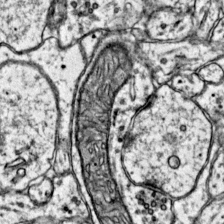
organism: Mouse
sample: Primary visual cortex